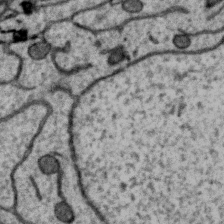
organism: Zebra finch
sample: Brain